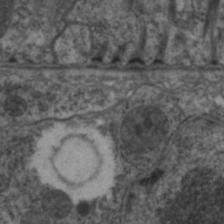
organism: C. elegans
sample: Pharynx